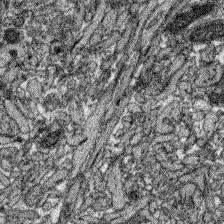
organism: Zebrafish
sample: Larval olfactory bulb